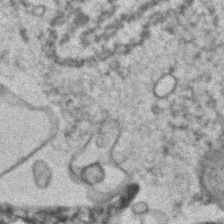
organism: Human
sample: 1205lu cells